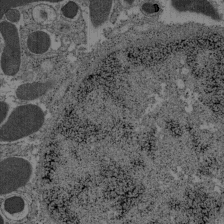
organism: C57BL Mouse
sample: Pancreatic islet